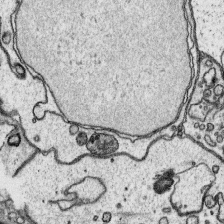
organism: Platynereis dumerilii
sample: Parapodia